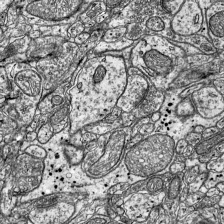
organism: Mouse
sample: Visual Cortex